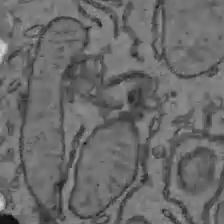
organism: C57BL Mouse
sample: Liver